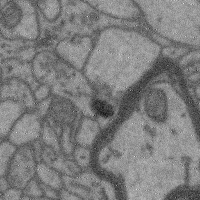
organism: Mouse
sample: Cerebral cortex